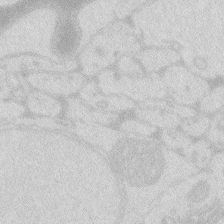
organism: Zebrafish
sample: Macrophage